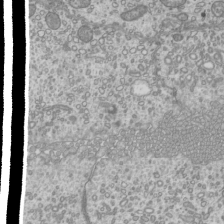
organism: Mouse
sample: Cilia; mouse epididymis